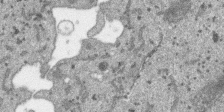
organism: Human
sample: Lung epithelial cells infected with SARS-CoV-2